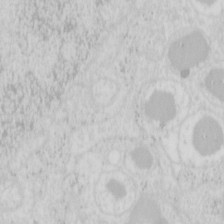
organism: Mouse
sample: Pancreas